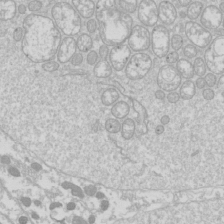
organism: Drosophila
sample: Cell division; meiosis; drosophila spermatocytes